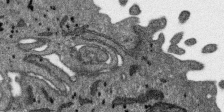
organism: Human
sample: Lung epithelial cells, uninfected (mock) control